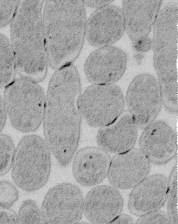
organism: E. coli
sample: Bacterial nucleoid